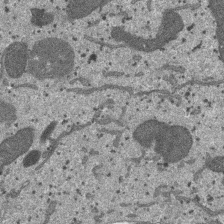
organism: Human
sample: Lung epithelial cells infected with SARS-CoV-2